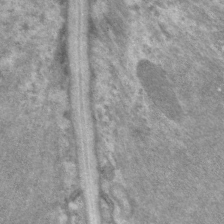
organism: C. elegans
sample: Pharynx